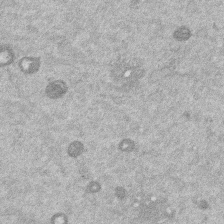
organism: Mouse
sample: Dividing mouse embryo 1 cell stage